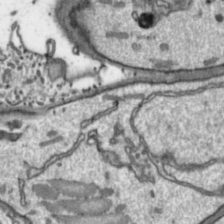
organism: Toxoplasma gondii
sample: Parasites in a vacuole inside a host cell